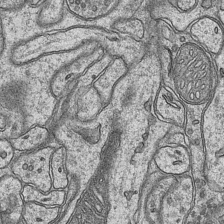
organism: Mouse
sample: CA1 Hippocampus